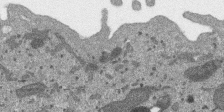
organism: Human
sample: Lung epithelial cells infected with SARS-CoV-2